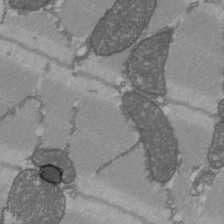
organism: C57BL Mouse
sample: Heart